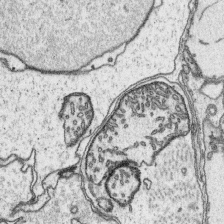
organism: Platynereis dumerilii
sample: Parapodia